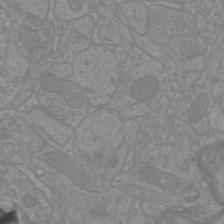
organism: Mouse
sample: Cortical neurons